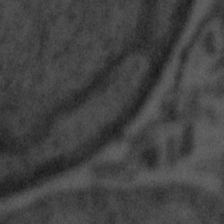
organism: Tuwongella immobilis